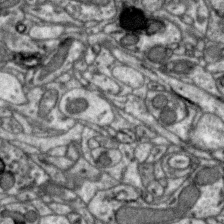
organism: Zebra finch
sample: Brain